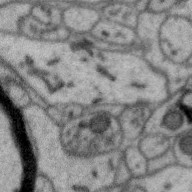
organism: Zebra finch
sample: Brain